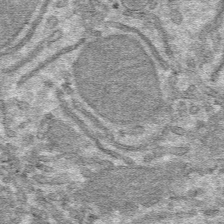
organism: Mouse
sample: Mouse hepatocytes